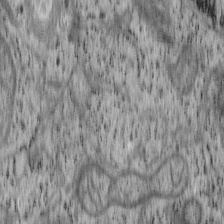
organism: Human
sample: HeLa cells